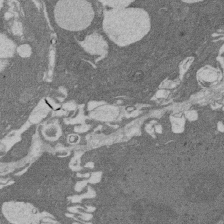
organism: Rat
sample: Salivary granule